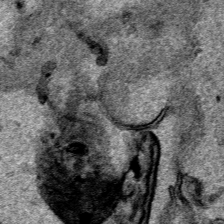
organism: Human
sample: Mitochondria in HCT116 cells